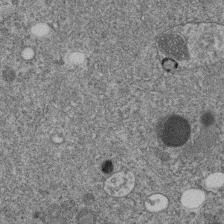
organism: C. elegans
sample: C. elegans embryo early stage